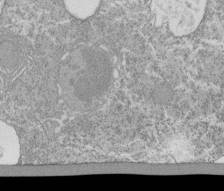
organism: Tetrahymena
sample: Cilia in tetrahymena